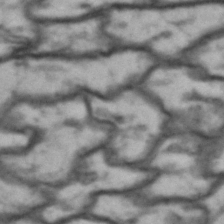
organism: Drosophila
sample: Brain